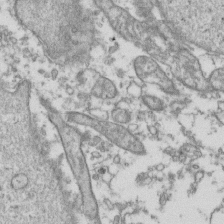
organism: Human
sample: Activated Jurkat CD4+ T cells